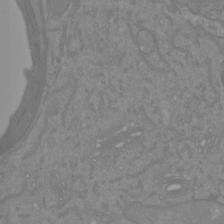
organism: Mouse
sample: Cortical neurons